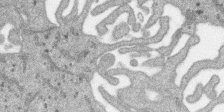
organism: Human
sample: Lung epithelial cells infected with SARS-CoV-2